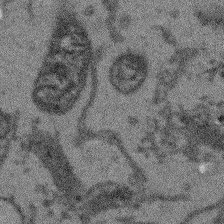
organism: Arabidopsis thaliana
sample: Root tip